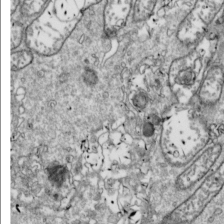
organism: Drosophila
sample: Cell division; meiosis; drosophila spermatocytes